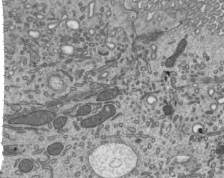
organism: Mouse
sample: Mouse epididymis efferent ductule cilia